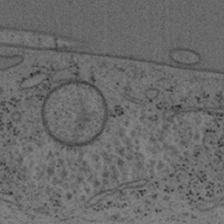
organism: Human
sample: HeLa cells